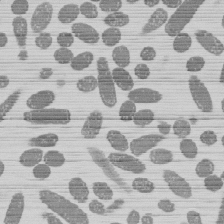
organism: E. coli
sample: Bacterial nucleoid